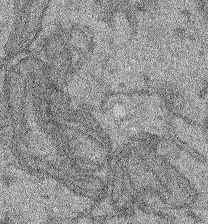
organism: Human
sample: HeLa cells